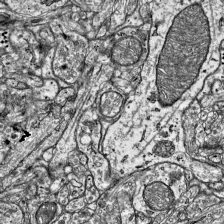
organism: Mouse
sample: Visual Cortex